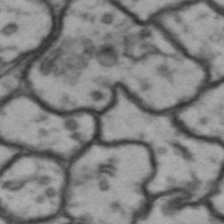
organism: Drosophila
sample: Brain